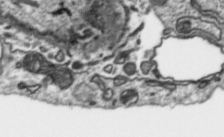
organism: Toxoplasma gondii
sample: Parasites in a vacuole inside a host cell